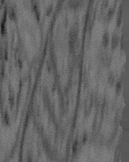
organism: Human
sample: HeLa cells